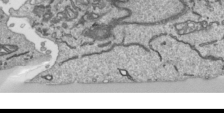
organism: Human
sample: Mitochondria in HCT116 cells